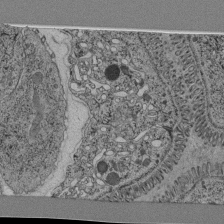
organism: C. elegans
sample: C. elegans pharynx